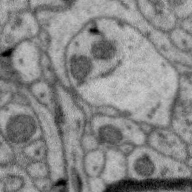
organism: Zebra finch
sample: Brain